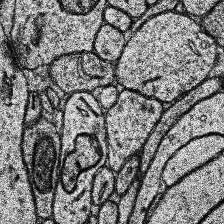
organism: Human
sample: Temporal Lobe